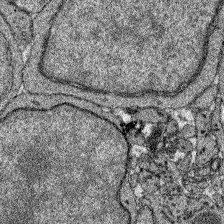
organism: Zebrafish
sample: Larval olfactory bulb